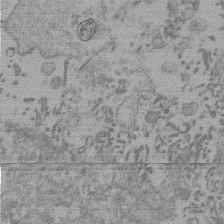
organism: Mouse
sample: Dividing mouse embryo 1 cell stage